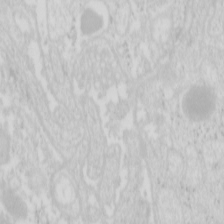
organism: Mouse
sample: Pancreas